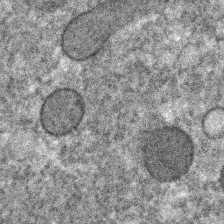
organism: C. elegans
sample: C. elegans embryo